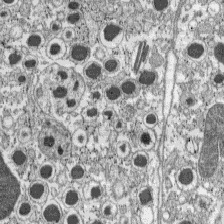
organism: C57BL Mouse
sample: Pancreatic islet